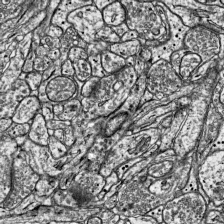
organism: Mouse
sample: Visual Cortex